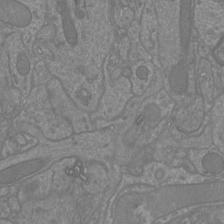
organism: Mouse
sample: Cortical neurons